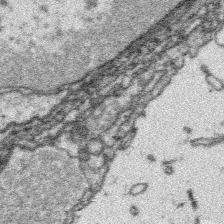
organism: Platynereis dumerilii